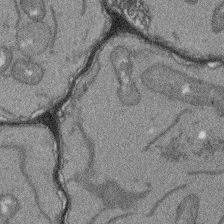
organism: Arabidopsis thaliana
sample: Root tip